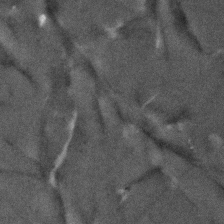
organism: Human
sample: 1205lu cells